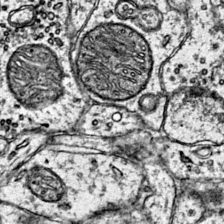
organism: Mouse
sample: Primary visual cortex